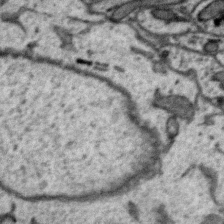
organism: Zebra finch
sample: Brain